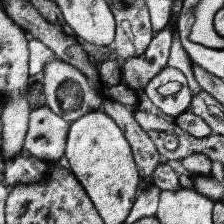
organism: Human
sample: Temporal Lobe